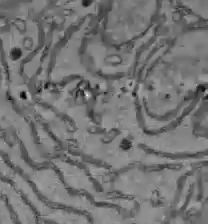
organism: C57BL Mouse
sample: Liver